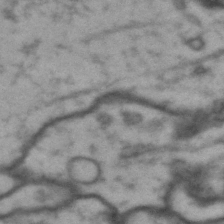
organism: Drosophila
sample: Brain